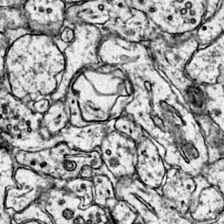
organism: Mouse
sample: Primary visual cortex